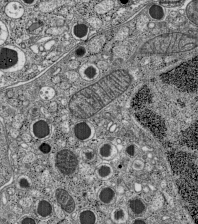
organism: C57BL Mouse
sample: Pancreatic islet